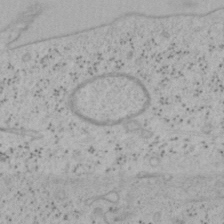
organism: Human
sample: HeLa cells